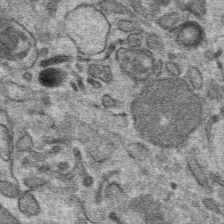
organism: Mouse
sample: Mouse hepatocytes